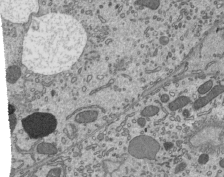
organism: Mouse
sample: Mouse epididymis efferent ductule cilia